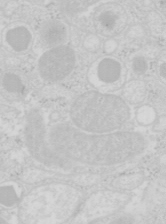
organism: Mouse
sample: Pancreas